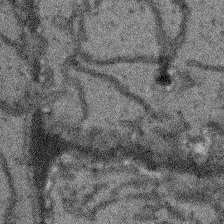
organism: Arabidopsis thaliana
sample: Root tip